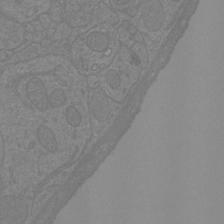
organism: Mouse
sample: Cortical neurons